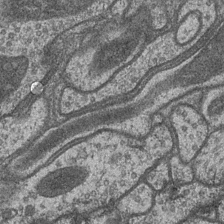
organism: Drosophila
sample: Optic medulla